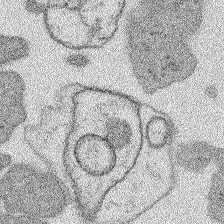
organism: Human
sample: HeLa cells